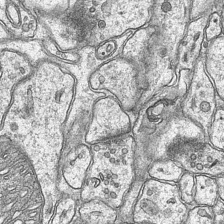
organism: Mouse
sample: CA1 Hippocampus